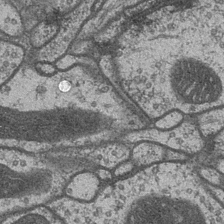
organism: Drosophila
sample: Optic medulla